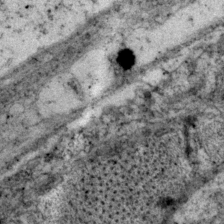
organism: P. pacificus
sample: Pharynx